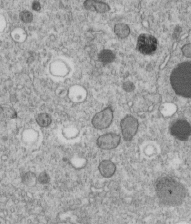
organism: C. elegans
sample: C. elegans embryo early stage